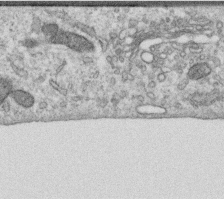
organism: Human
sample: Centriole in RPE cells